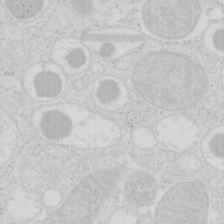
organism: Mouse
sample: Pancreas